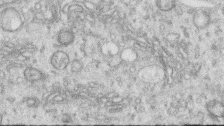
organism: Human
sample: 1205lu cells